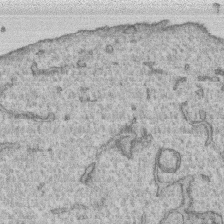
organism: Human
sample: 1205lu cells